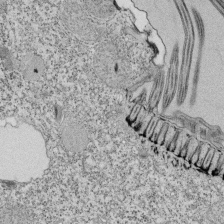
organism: Tetrahymena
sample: Cilia in tetrahymena